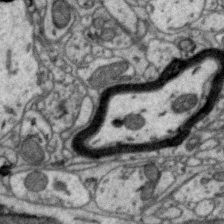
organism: Zebra finch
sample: Brain